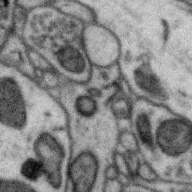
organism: Zebra finch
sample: Brain